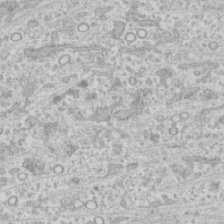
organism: Human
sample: CRL-1474